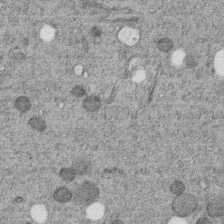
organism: C. elegans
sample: C. elegans embryo early stage